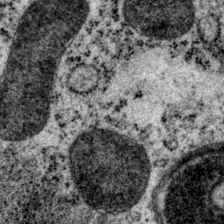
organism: P. pacificus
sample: Pharynx